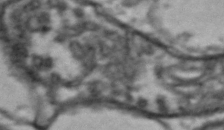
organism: Drosophila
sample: Brain